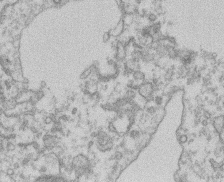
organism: Mouse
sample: T cell stromal cell synapse